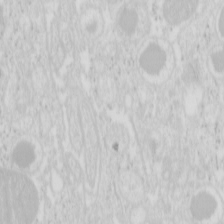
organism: Mouse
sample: Pancreas